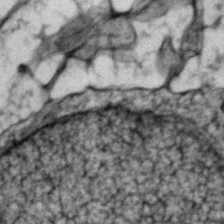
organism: Zebrafish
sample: Zebrafish embryo